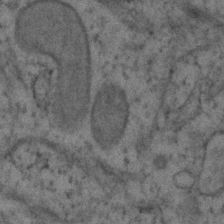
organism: Human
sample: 1205lu cells